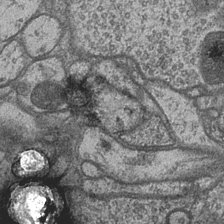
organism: Drosophila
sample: Optic medulla